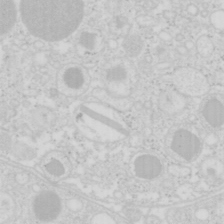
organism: Mouse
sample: Pancreas